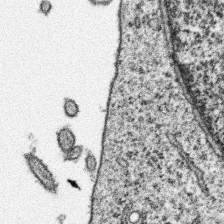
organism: Human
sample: HeLa cells